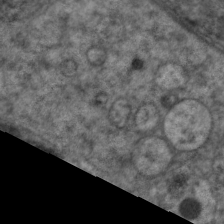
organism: C. elegans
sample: Pharynx